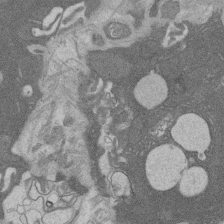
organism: Rat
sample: Salivary granule